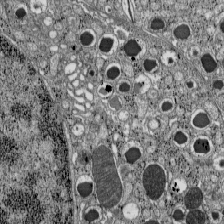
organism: C57BL Mouse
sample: Pancreatic islet